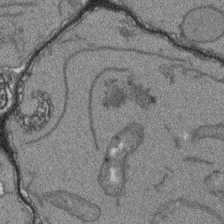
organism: Arabidopsis thaliana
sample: Root tip